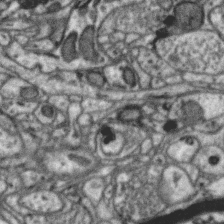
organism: Zebra finch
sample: Brain